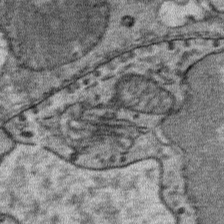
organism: Mouse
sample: Mouse Salivary gland